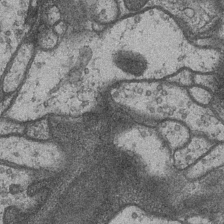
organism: Drosophila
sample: Optic medulla